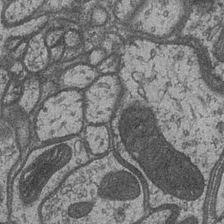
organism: Drosophila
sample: Optic medulla